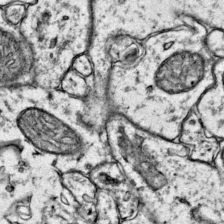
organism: Mouse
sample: Primary visual cortex